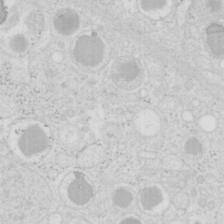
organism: Mouse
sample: Pancreas